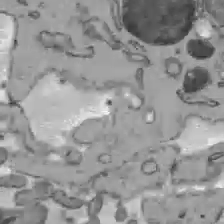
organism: C57BL Mouse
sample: Liver